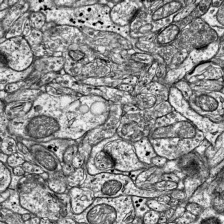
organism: Mouse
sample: Visual Cortex